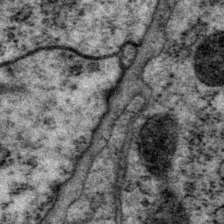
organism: P. pacificus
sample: Pharynx